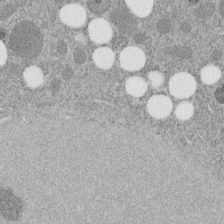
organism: C. elegans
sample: C. elegans embryo early stage